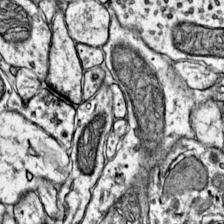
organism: Mouse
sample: Primary visual cortex